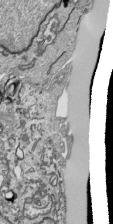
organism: Human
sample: Mitochondria in HCT116 cells